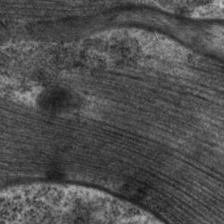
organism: P. pacificus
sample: Pharynx